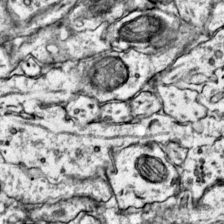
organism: Mouse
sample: Primary visual cortex